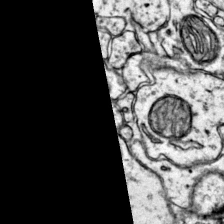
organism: Mouse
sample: Primary visual cortex